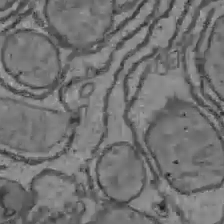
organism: C57BL Mouse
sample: Liver